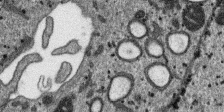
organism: Human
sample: Lung epithelial cells infected with SARS-CoV-2